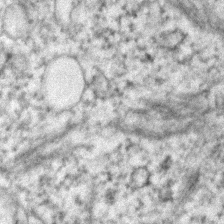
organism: Human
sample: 1205lu cells